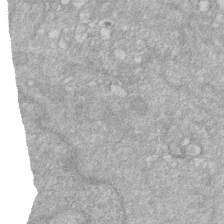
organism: Human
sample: HIV infected U937 cells